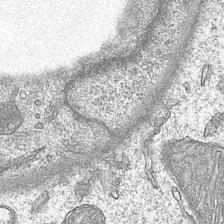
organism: Mouse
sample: CA1 Hippocampus